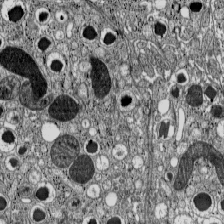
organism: C57BL Mouse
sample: Pancreatic islet